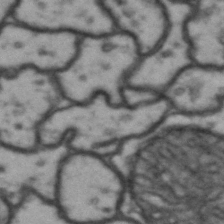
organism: Drosophila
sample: Brain